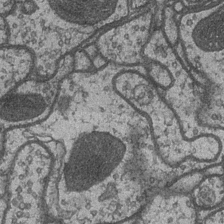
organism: Drosophila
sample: Optic medulla